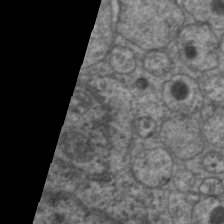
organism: C. elegans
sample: Pharynx